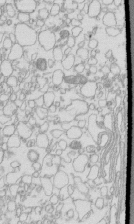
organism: Mouse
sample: Macrophages